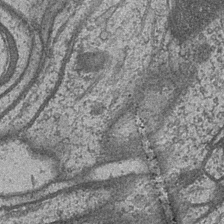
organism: Drosophila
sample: Optic medulla